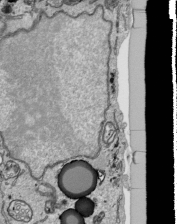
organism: Human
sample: Mitochondria in HCT116 cells